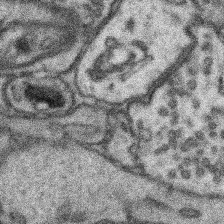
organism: Mouse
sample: Somatosensory cortex neuropil